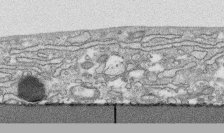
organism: Human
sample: CRL-1474